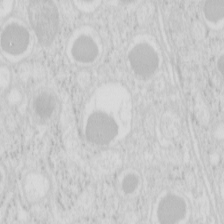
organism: Mouse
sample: Pancreas